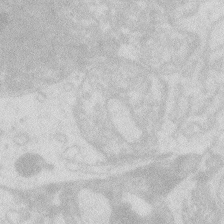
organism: Zebrafish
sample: Macrophage